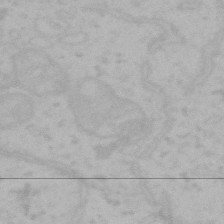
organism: Mouse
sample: Choroid plexus